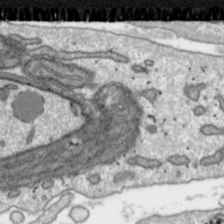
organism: Toxoplasma gondii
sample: Parasites in a vacuole inside a host cell